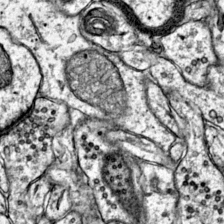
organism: Mouse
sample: Primary visual cortex